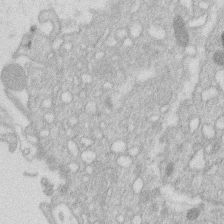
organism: Human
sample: Macrophage cells